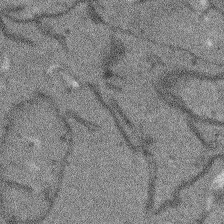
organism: Arabidopsis thaliana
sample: Root tip